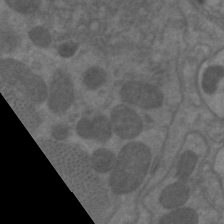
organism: C. elegans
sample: Pharynx